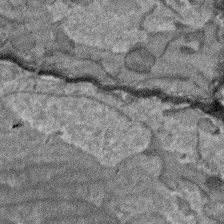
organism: Arabidopsis thaliana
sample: Root tip